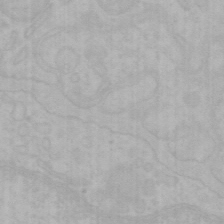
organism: Mouse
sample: Choroid plexus